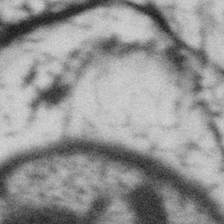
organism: Gemmata obscuriglobus